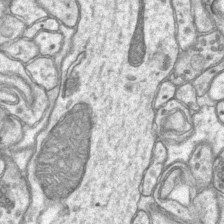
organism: Mouse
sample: CA1 Hippocampus